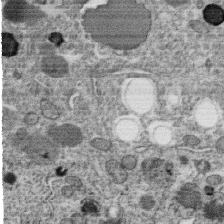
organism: C. elegans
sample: C. elegans oocyte; sperm cells